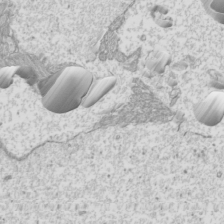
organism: Mouse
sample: Cilia; mouse epididymis